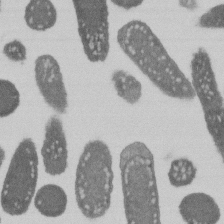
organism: E. coli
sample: Bacterial nucleoid